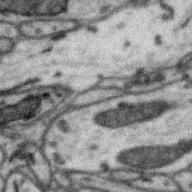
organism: Zebra finch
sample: Brain